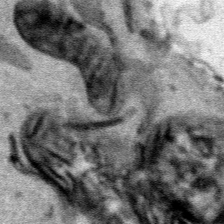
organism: Human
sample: Mitochondria in HCT116 cells